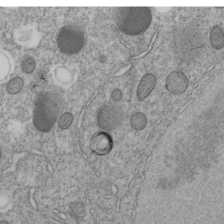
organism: C. elegans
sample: C. elegans embryo early stage